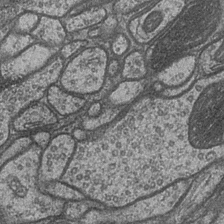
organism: Drosophila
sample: Optic medulla